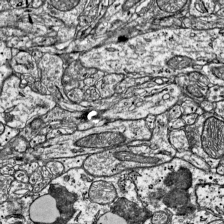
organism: Mouse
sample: Visual Cortex